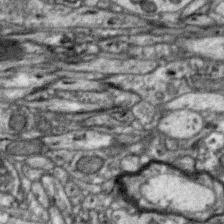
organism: Zebra finch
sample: Brain